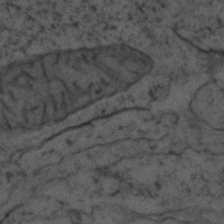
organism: Zebrafish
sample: Zebrafish embryo